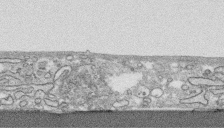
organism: Human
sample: CRL-1474